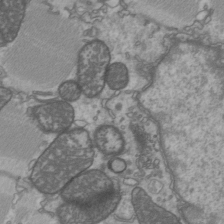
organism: C57BL Mouse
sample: Heart